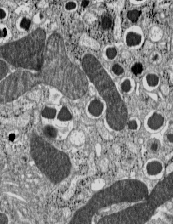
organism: C57BL Mouse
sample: Pancreatic islet